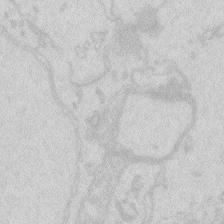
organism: Zebrafish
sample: Macrophage